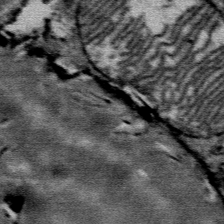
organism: Mouse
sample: Mouse Salivary gland